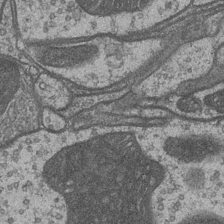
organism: Drosophila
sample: Optic medulla